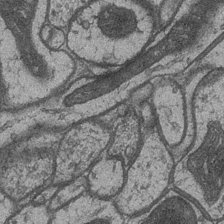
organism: Drosophila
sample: Optic medulla